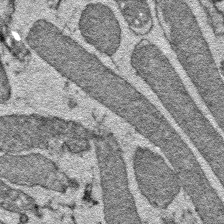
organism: E. coli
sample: E. Coli Bacteria